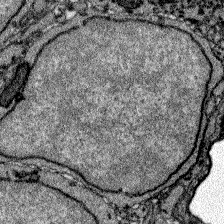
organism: Zebrafish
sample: Larval olfactory bulb